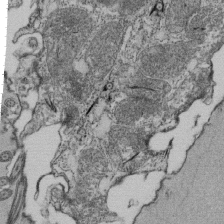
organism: Tetrahymena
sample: Cilia in tetrahymena